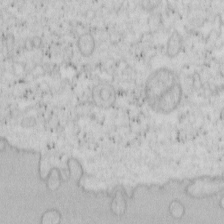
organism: Human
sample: HeLa cells